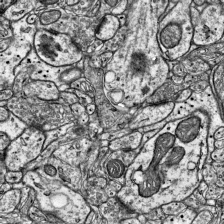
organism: Mouse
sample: Visual Cortex